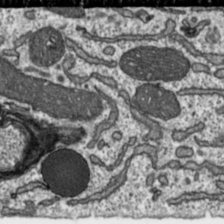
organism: Toxoplasma gondii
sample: Parasites in a vacuole inside a host cell